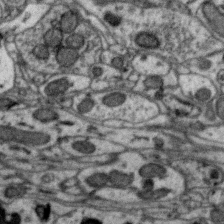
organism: Zebra finch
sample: Brain